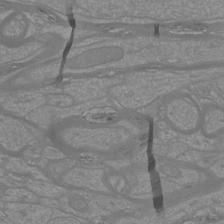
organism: Mouse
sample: Cortical neurons